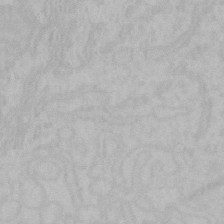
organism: Mouse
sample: Choroid plexus